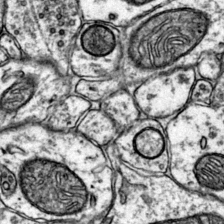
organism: Mouse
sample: Primary visual cortex